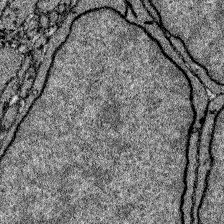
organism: Zebrafish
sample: Larval olfactory bulb